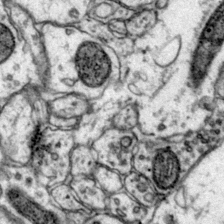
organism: Mouse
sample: Primary visual cortex